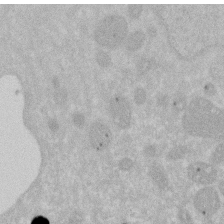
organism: Human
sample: HIV infected U937 cells